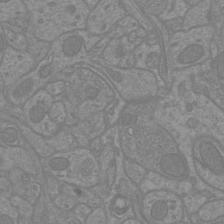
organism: Mouse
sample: Cortical neurons